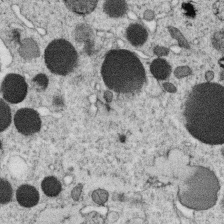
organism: C. elegans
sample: C. elegans oocyte; sperm cells